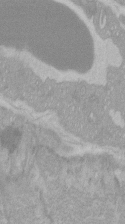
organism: C57BL Mouse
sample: Tibialis anterior muscle cell